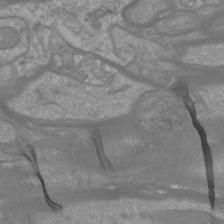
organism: Mouse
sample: Cortical neurons